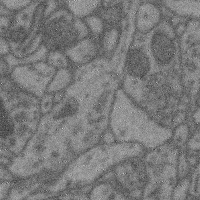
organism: Mouse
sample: Cerebral cortex